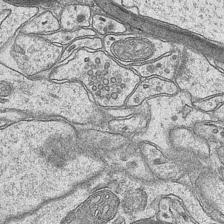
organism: Mouse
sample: CA1 Hippocampus